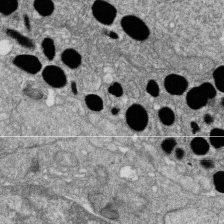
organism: Zebrafish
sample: Cilia; retinal pigment epithelium